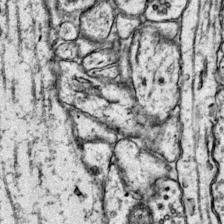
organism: Mouse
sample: Primary visual cortex